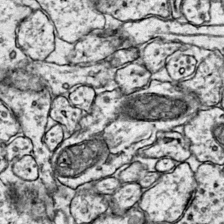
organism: Mouse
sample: Primary visual cortex